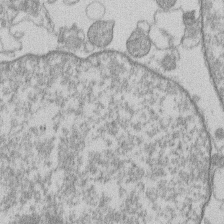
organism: Human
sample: Macrophage cells